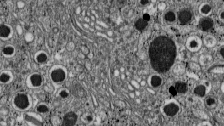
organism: C57BL Mouse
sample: Pancreatic islet